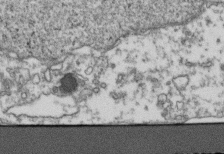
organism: Human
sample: Activated Jurkat CD4+ T cells